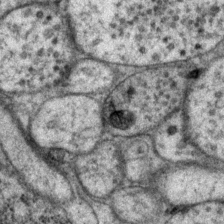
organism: P. pacificus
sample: Pharynx